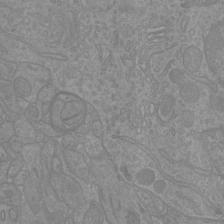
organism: Mouse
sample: Cortical neurons